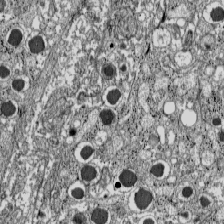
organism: C57BL Mouse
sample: Pancreatic islet